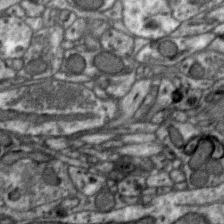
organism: Zebra finch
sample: Brain